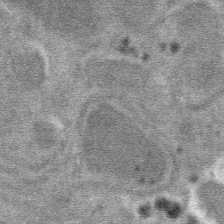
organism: Mouse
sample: Mouse hepatocytes